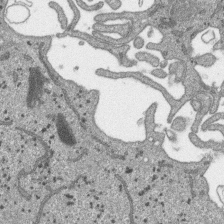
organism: Human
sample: Lung epithelial cells infected with SARS-CoV-2